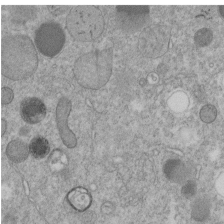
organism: C. elegans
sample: C. elegans embryo early stage